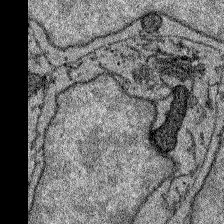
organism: Zebrafish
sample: Larval olfactory bulb